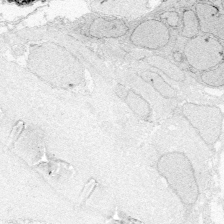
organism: Zebrafish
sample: Whole-Brain